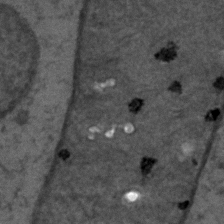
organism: C. elegans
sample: C. elegans embryo